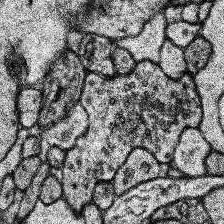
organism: Human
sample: Temporal Lobe